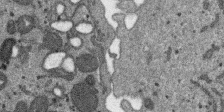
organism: Human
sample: Lung epithelial cells infected with SARS-CoV-2